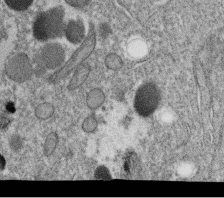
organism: C. elegans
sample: C. elegans oocyte; sperm cells